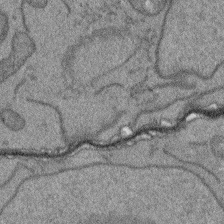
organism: Arabidopsis thaliana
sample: Root tip